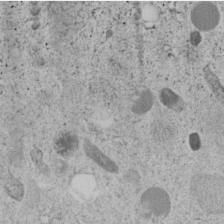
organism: C. elegans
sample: C. elegans embryo early stage